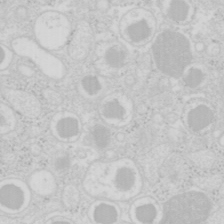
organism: Mouse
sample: Pancreas